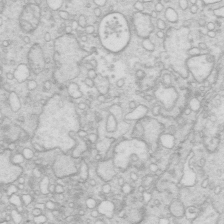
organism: Mouse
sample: Multiciliated cells